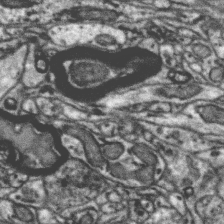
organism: Zebra finch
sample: Brain